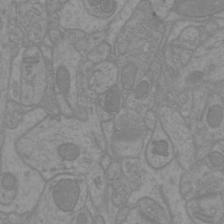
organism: Mouse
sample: Cortical neurons